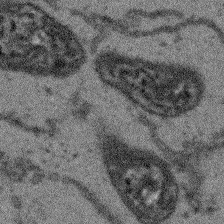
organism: Arabidopsis thaliana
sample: Root tip